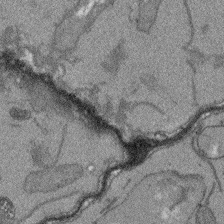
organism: Arabidopsis thaliana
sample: Root tip